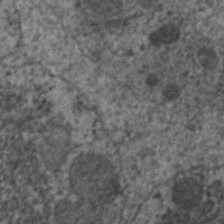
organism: C. elegans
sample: Pharynx